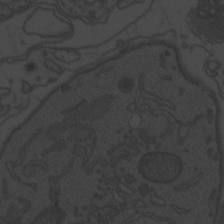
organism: Zebrafish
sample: Macrophage infected with Toxoplasma gondii